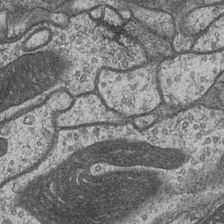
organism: Drosophila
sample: Optic medulla